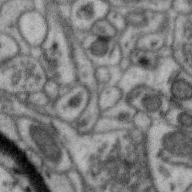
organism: Zebra finch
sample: Brain